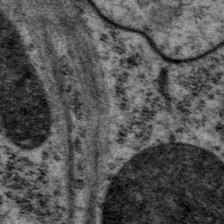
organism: P. pacificus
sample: Pharynx